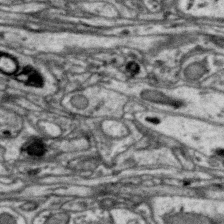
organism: Zebra finch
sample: Brain